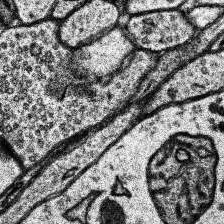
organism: Human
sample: Temporal Lobe